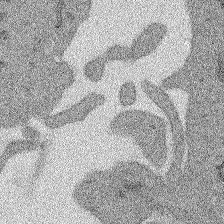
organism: Human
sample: HeLa cells